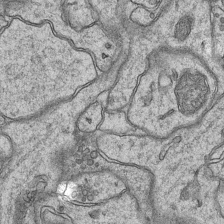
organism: Mouse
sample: CA1 Hippocampus